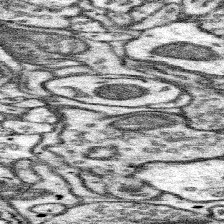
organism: Mouse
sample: Somatosensory cortex neuropil